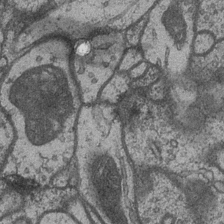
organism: Drosophila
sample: Optic medulla